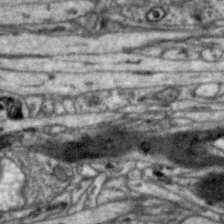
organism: Zebra finch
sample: Brain